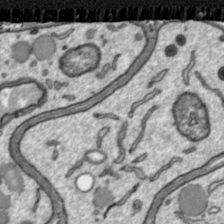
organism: Toxoplasma gondii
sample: Parasites in a vacuole inside a host cell